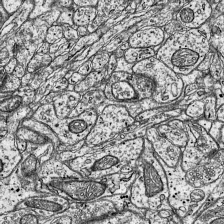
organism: Mouse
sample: Visual Cortex